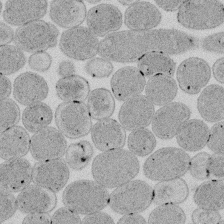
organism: E. coli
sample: Bacterial nucleoid